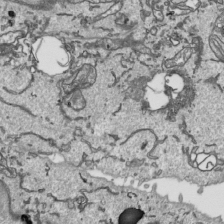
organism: Human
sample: Mitochondria in HCT116 cells